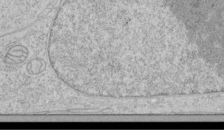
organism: Human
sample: Mitochondria in HCT116 cells